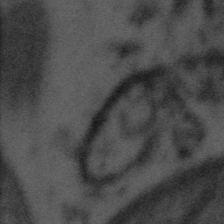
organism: Tuwongella immobilis